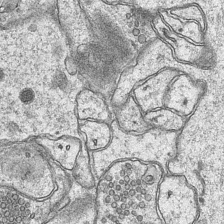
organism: Mouse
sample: CA1 Hippocampus